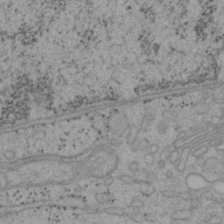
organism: Human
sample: HeLa cells